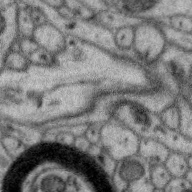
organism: Zebra finch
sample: Brain